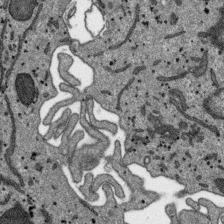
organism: Human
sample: Lung epithelial cells, uninfected (mock) control